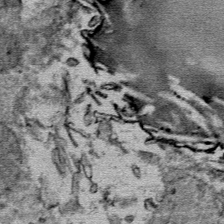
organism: Mouse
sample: Mouse Salivary gland